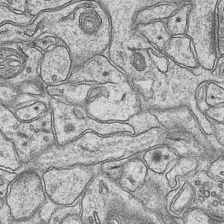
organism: Mouse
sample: CA1 Hippocampus